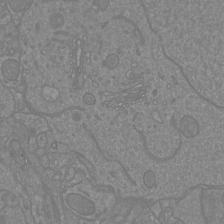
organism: Mouse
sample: Cortical neurons